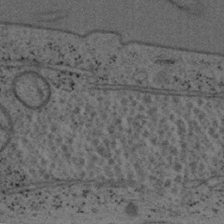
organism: Human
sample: HeLa cells